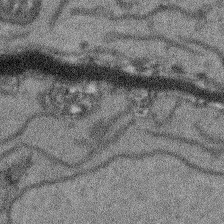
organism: Arabidopsis thaliana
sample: Root tip